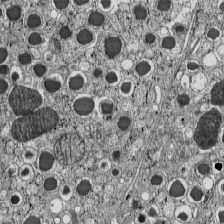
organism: C57BL Mouse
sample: Pancreatic islet